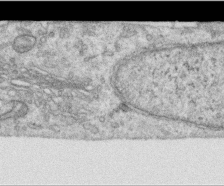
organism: Human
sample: Centriole in RPE cells